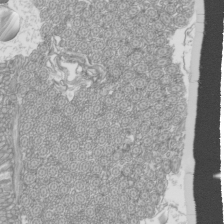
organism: Mouse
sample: Cilia; mouse epididymis